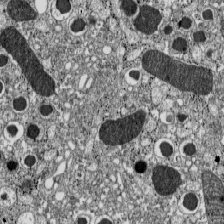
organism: C57BL Mouse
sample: Pancreatic islet